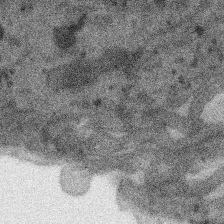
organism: Human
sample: Lung epithelial cells infected with SARS-CoV-2